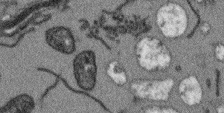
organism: Arabidopsis thaliana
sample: Root tip